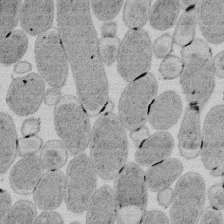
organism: E. coli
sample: Bacterial nucleoid